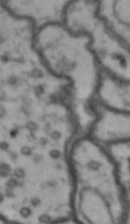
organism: Drosophila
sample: Brain